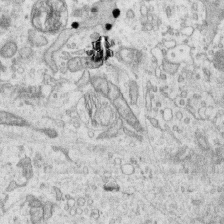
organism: Human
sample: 1205lu cells